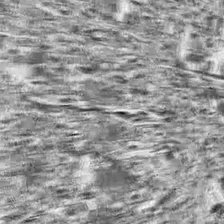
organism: Drosophila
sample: Optic lobe